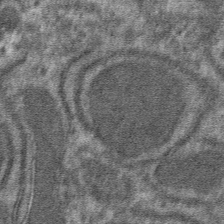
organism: Mouse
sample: Mouse hepatocytes